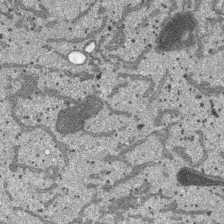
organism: Human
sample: Lung epithelial cells infected with SARS-CoV-2